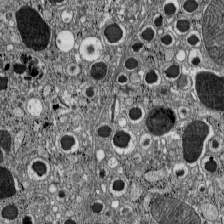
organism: C57BL Mouse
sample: Pancreatic islet